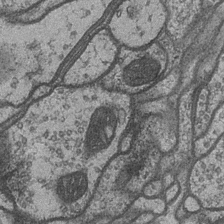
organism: Drosophila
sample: Optic medulla